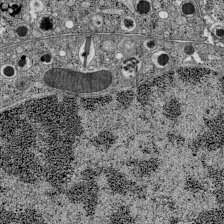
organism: C57BL Mouse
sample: Pancreatic islet